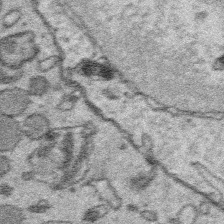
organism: Platynereis dumerilii